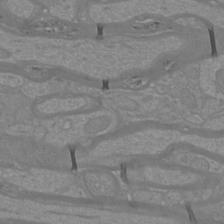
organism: Mouse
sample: Cortical neurons